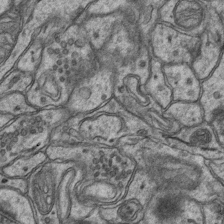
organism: Mouse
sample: CA1 Hippocampus